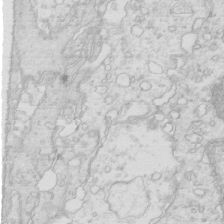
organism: Mouse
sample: Multiciliated cells